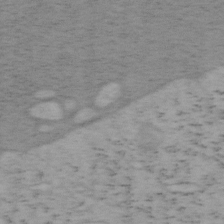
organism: Mouse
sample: OT-I killer T cells with ID8 ovarian cancer cells